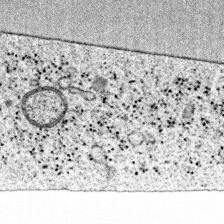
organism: Human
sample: HeLa cells